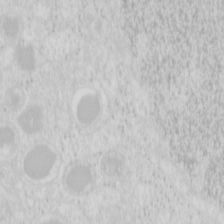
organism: Mouse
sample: Pancreas